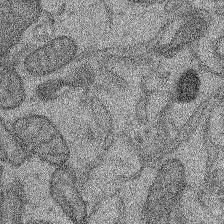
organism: Human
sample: HeLa cells